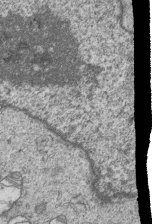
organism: Human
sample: MDA-MB-231 cells